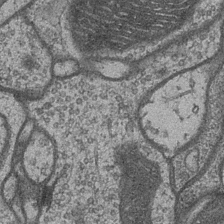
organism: Drosophila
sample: Optic medulla